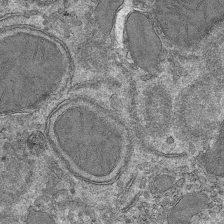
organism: Mouse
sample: Mouse hepatocytes